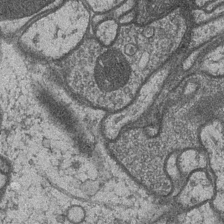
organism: Drosophila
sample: Optic medulla